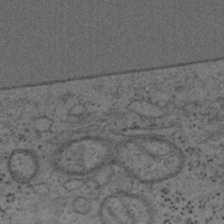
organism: Human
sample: HeLa cells